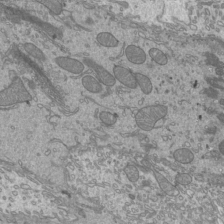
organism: Mouse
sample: Cilia; mouse epididymis